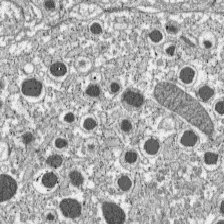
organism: C57BL Mouse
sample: Pancreatic islet